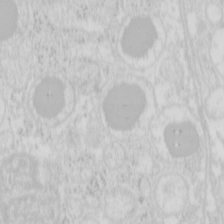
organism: Mouse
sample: Pancreas